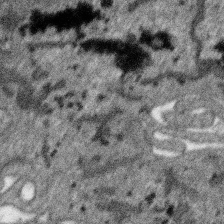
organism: Human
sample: Lung epithelial cells infected with SARS-CoV-2